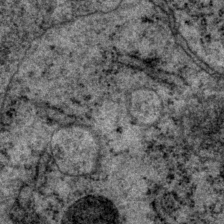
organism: P. pacificus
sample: Pharynx